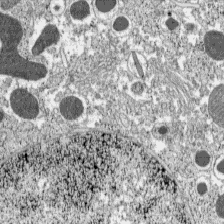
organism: C57BL Mouse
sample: Pancreatic islet